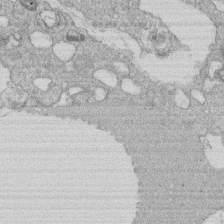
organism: Human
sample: Macrophage cells